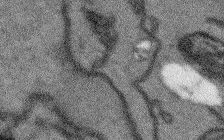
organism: Arabidopsis thaliana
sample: Root tip